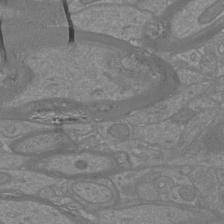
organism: Mouse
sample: Cortical neurons